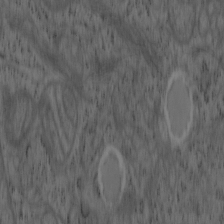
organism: Human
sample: HeLa cells